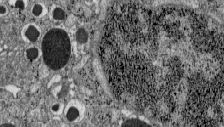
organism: C57BL Mouse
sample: Pancreatic islet